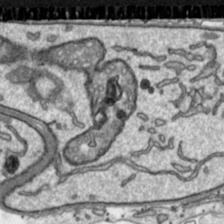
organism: Toxoplasma gondii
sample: Parasites in a vacuole inside a host cell